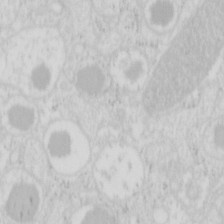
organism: Mouse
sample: Pancreas